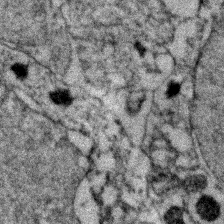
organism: Zebrafish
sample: Zebrafish embryo